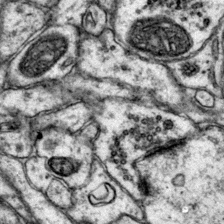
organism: Mouse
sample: Primary visual cortex